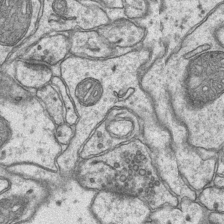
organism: Mouse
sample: CA1 Hippocampus